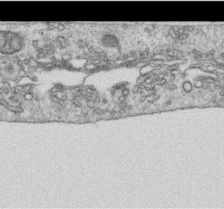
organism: Human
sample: Centriole in RPE cells